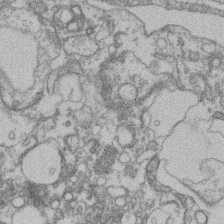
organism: Mouse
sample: T cell stromal cell synapse